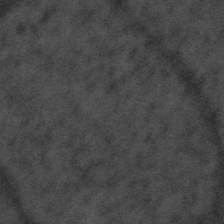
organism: Tuwongella immobilis